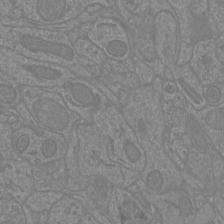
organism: Mouse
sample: Cortical neurons